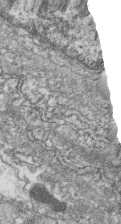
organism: Zebrafish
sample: Cilia; retinal pigment epithelium